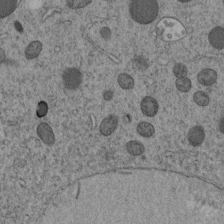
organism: C. elegans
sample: C. elegans embryo early stage